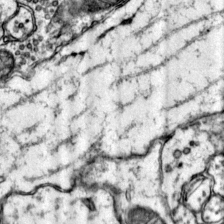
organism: Mouse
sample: Primary visual cortex